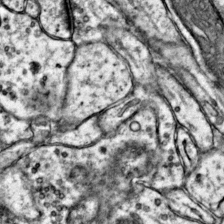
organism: Mouse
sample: Primary visual cortex